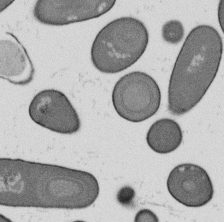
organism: B. subtilis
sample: Bacterial spore